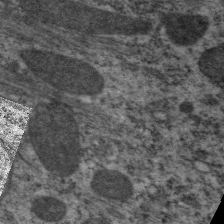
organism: C. elegans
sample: Pharynx